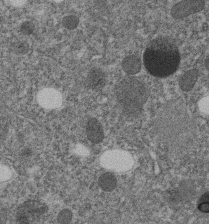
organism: C. elegans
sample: C. elegans embryo early stage